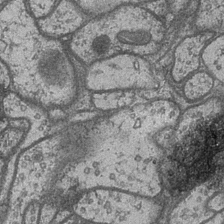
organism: Drosophila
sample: Optic medulla